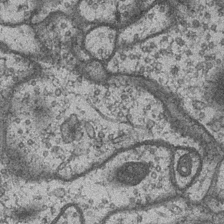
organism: Drosophila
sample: Optic medulla